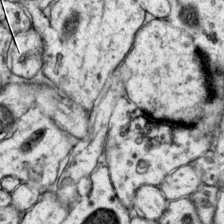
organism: Mouse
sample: Primary visual cortex